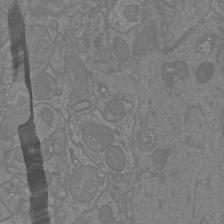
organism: Mouse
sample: Cortical neurons